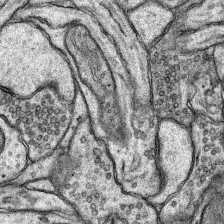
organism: Rat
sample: Hippocampus